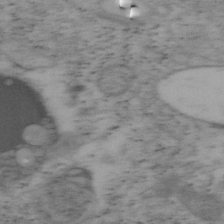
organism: Mouse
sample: OT-I killer T cells with ID8 ovarian cancer cells